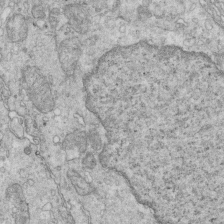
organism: Mouse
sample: Multiciliated cells